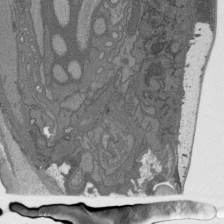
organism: C. elegans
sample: AFD neurons C. elegans